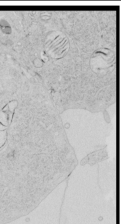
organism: Human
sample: Mitochondria in HCT116 cells